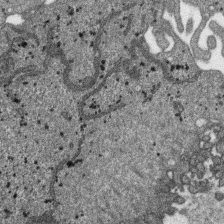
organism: Human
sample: Lung epithelial cells infected with SARS-CoV-2